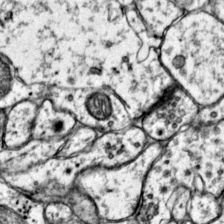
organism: Mouse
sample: Primary visual cortex